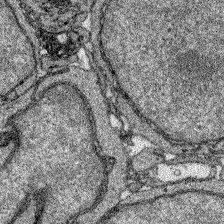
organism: Zebrafish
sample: Larval olfactory bulb